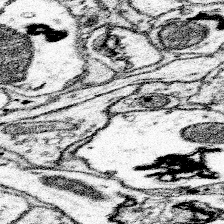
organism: Mouse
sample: Somatosensory cortex neuropil